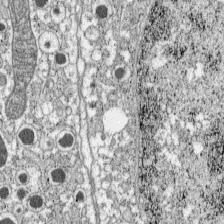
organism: C57BL Mouse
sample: Pancreatic islet